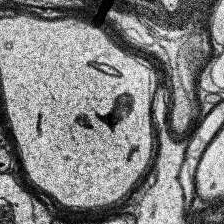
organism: Human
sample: Temporal Lobe